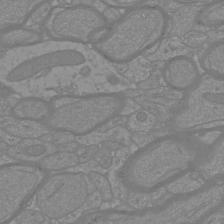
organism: Mouse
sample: Cortical neurons